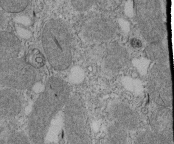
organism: Tetrahymena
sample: Cilia in tetrahymena